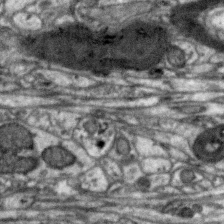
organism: Zebra finch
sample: Brain